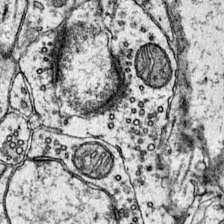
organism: Mouse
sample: Primary visual cortex